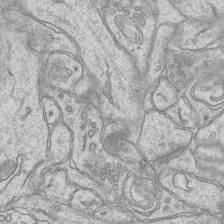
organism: Mouse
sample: CA1 Hippocampus